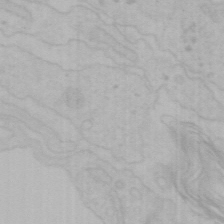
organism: Mouse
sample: Choroid plexus